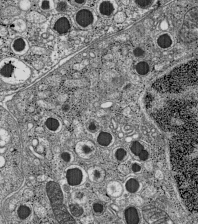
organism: C57BL Mouse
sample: Pancreatic islet